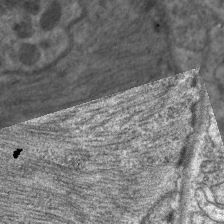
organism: C. elegans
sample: Pharynx